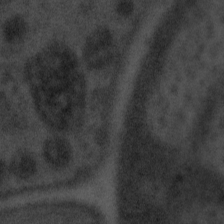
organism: Tuwongella immobilis